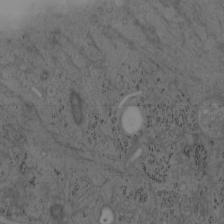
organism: Mouse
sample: OT-I killer T cells with ID8 ovarian cancer cells